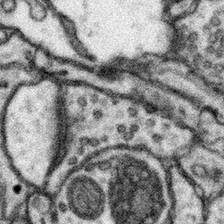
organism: Mouse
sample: Somatosensory cortex neuropil